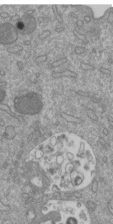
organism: Mouse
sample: ED-1 cell nuclei; centrioles